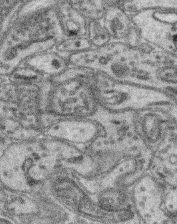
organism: Mouse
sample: Retina